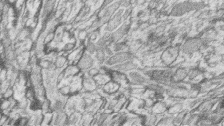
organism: Zebrafish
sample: synaptic ribbons in rod cells and cone cells